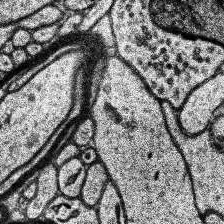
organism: Human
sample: Temporal Lobe